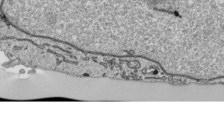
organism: Human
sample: Mitochondria in HCT116 cells